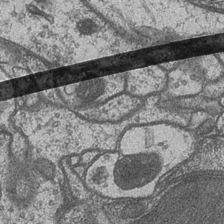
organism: Drosophila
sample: Optic medulla